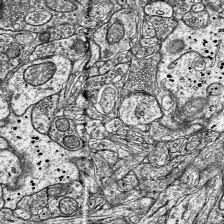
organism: Mouse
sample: Visual Cortex